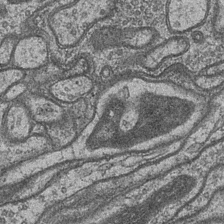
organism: Drosophila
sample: Optic medulla